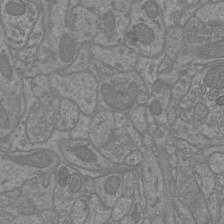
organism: Mouse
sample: Cortical neurons